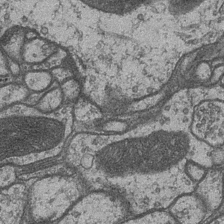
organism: Drosophila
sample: Optic medulla